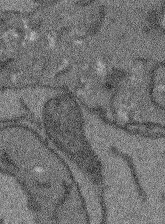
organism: Arabidopsis thaliana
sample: Root tip